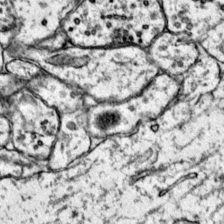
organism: Mouse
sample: Primary visual cortex